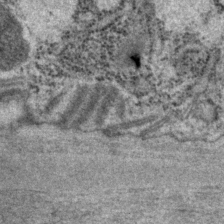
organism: P. pacificus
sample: Pharynx